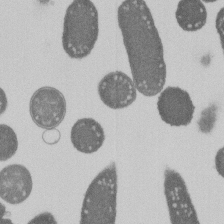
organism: E. coli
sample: Bacterial nucleoid